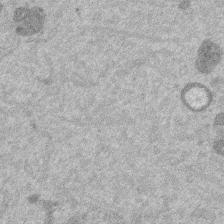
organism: Mouse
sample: Dividing mouse embryo 1 cell stage